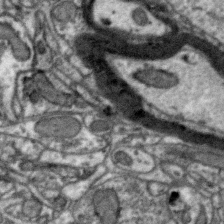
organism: Zebra finch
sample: Brain